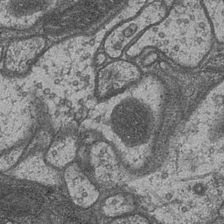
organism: Drosophila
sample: Optic medulla